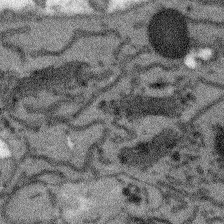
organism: Arabidopsis thaliana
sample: Root tip